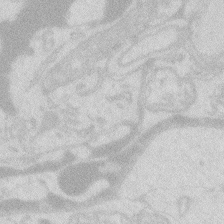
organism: Zebrafish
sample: Macrophage